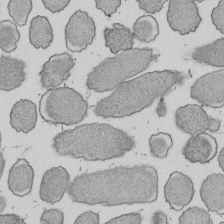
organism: E. coli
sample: Bacterial nucleoid